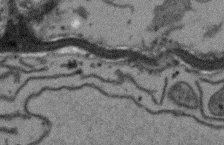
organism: Arabidopsis thaliana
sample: Root tip